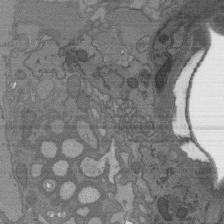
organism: C. elegans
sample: AFD neurons C. elegans